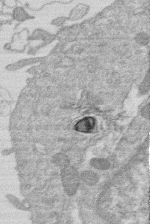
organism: Human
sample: Macrophage cells